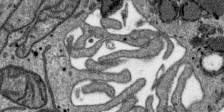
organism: Human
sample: Lung epithelial cells, uninfected (mock) control